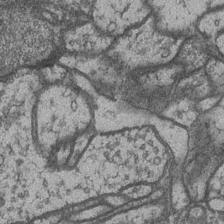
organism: Drosophila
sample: Optic medulla